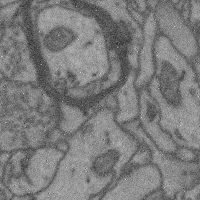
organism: Mouse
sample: Cerebral cortex